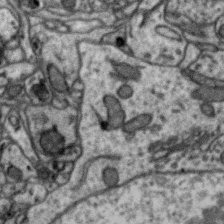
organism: Zebra finch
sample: Brain